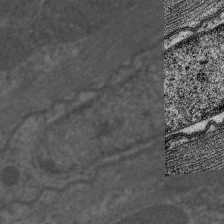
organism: C. elegans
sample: Pharynx